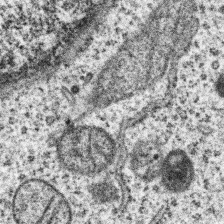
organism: Human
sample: HeLa cells